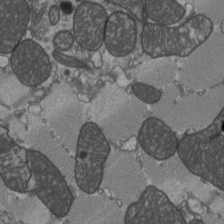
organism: C57BL Mouse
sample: Heart